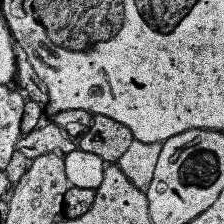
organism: Human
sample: Temporal Lobe